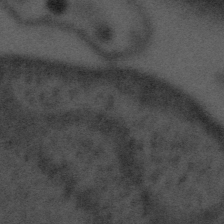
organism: Tuwongella immobilis